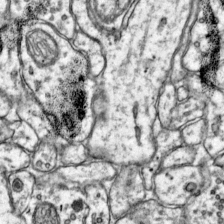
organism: Mouse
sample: Primary visual cortex